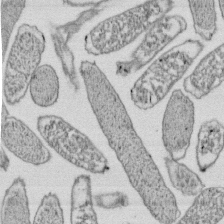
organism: E. coli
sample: Bacterial nucleoid